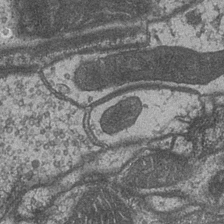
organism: Drosophila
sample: Optic medulla